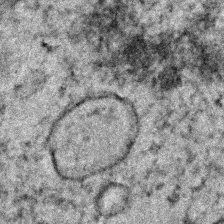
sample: Trachea